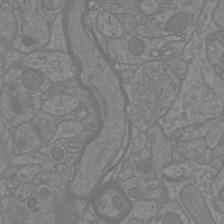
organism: Mouse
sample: Cortical neurons